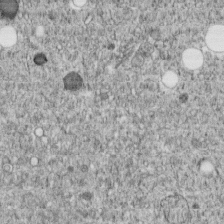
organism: C. elegans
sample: C. elegans embryo early stage